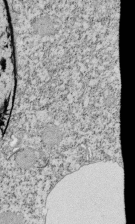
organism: Tetrahymena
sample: Cilia in tetrahymena